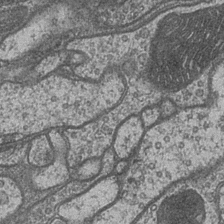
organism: Drosophila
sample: Optic medulla